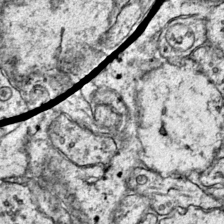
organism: Mouse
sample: Primary visual cortex